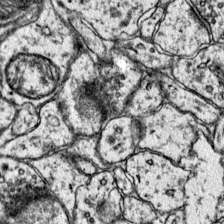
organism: Mouse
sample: Primary visual cortex